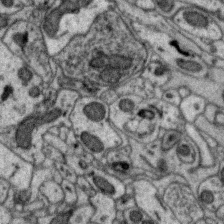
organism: Zebra finch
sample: Brain